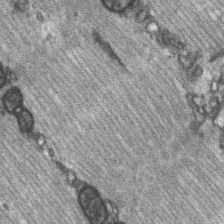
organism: C57BL Mouse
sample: Soleus